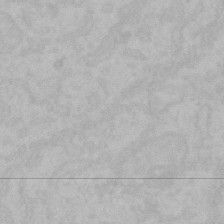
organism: Mouse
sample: Choroid plexus